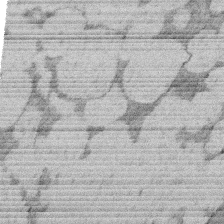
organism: Rat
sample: Salivary granule